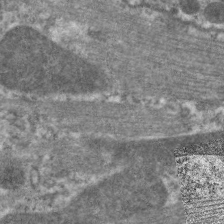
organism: C. elegans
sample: Pharynx